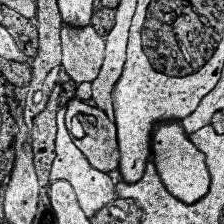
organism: Human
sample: Temporal Lobe